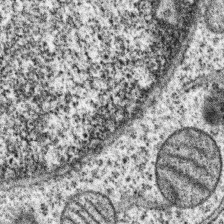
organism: Human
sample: HeLa cells